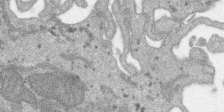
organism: Human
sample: Lung epithelial cells infected with SARS-CoV-2